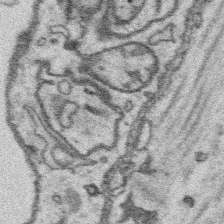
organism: Platynereis dumerilii